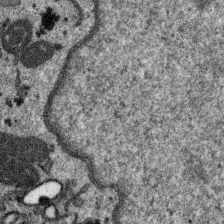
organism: Human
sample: Lung epithelial cells infected with SARS-CoV-2